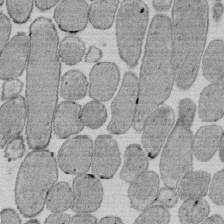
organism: E. coli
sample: Bacterial nucleoid